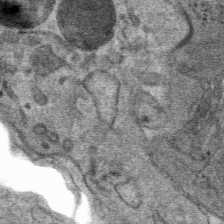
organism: Mouse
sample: Mouse hepatocytes